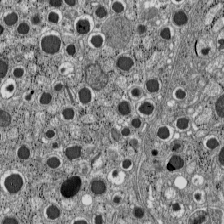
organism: C57BL Mouse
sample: Pancreatic islet